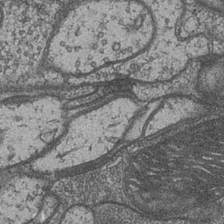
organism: Drosophila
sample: Optic medulla